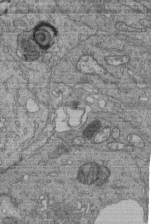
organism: Human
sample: Retinal organoid Rod and Cone cells